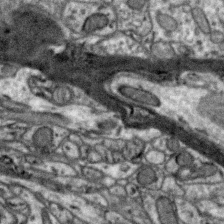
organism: Zebra finch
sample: Brain